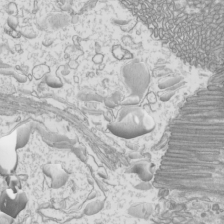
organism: Mouse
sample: Cilia; mouse epididymis